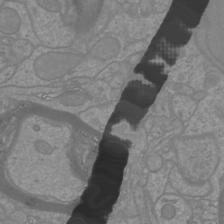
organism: Mouse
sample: Cortical neurons